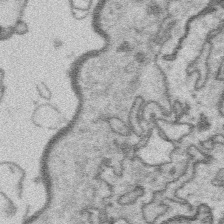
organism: Platynereis dumerilii